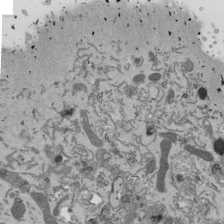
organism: Mouse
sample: ED-1 cell nuclei; centrioles